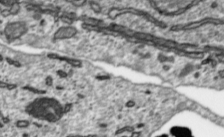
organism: Toxoplasma gondii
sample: Parasites in a vacuole inside a host cell